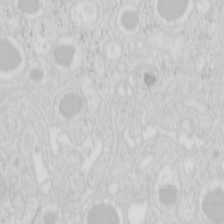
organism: Mouse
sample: Pancreas